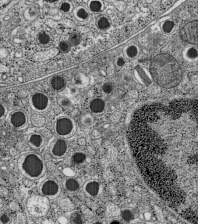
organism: C57BL Mouse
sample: Pancreatic islet